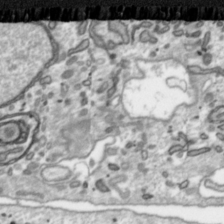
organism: Toxoplasma gondii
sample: Parasites in a vacuole inside a host cell